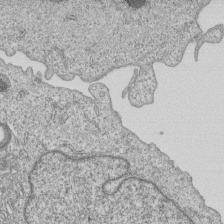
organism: Human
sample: MDA-MB-231 cells